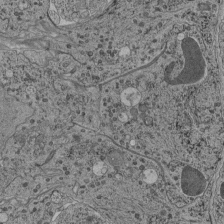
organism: C. elegans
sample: C. elegans pharynx